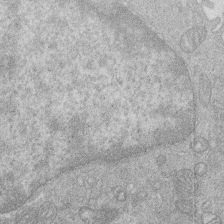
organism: Human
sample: Macrophage cells